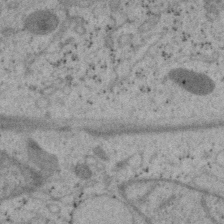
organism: Human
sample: HeLa cells